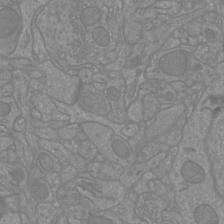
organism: Mouse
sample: Cortical neurons